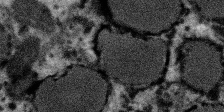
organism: Human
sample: Lung epithelial cells infected with SARS-CoV-2